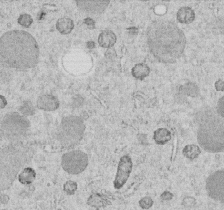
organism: C. elegans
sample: C. elegans embryo early stage